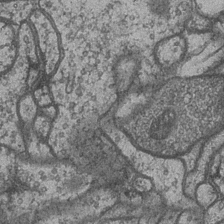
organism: Drosophila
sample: Optic medulla